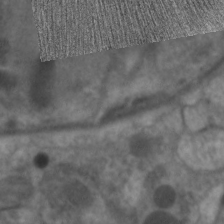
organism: C. elegans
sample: Pharynx